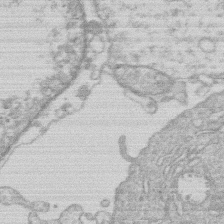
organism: Human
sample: Macrophage cells